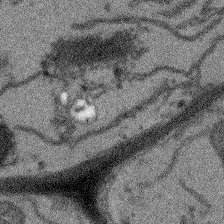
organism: Arabidopsis thaliana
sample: Root tip